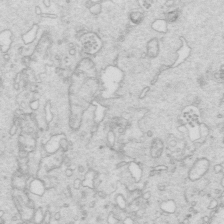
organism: Mouse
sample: Multiciliated cells